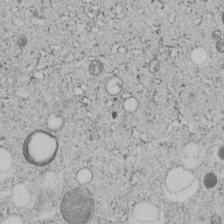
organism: C. elegans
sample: C. elegans embryo early stage